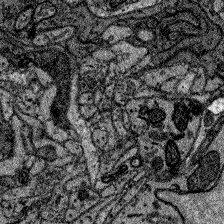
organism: Zebrafish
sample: Larval olfactory bulb